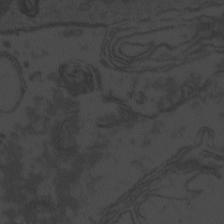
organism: Zebrafish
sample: Macrophage infected with Toxoplasma gondii